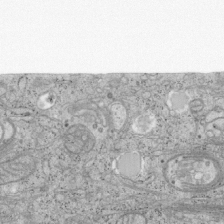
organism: Human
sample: HeLa cells